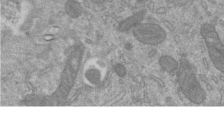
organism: Mouse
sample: ED-1 cell nuclei; centrioles